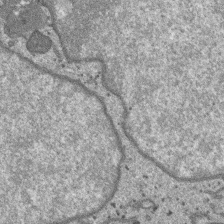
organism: Human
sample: Lung epithelial cells infected with SARS-CoV-2